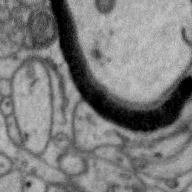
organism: Zebra finch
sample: Brain